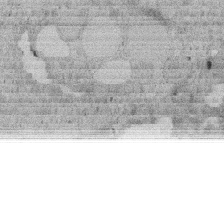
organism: Rat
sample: Salivary granule